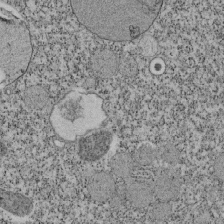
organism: Tetrahymena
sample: Cilia in tetrahymena